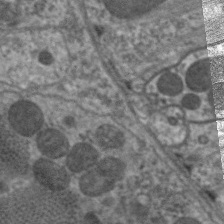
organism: C. elegans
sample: Pharynx